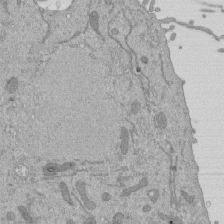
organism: Mouse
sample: ED-1 cell nuclei; centrioles